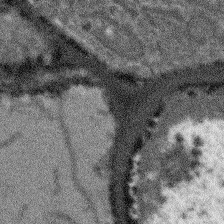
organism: Arabidopsis thaliana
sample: Root tip